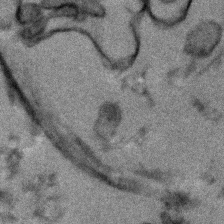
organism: Human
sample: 1205lu cells